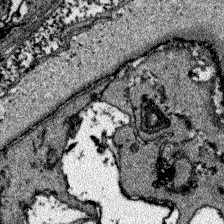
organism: Zebrafish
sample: Larval olfactory bulb